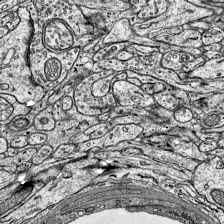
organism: Mouse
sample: Visual Cortex